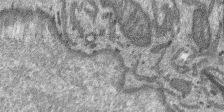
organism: Human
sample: Lung epithelial cells infected with SARS-CoV-2